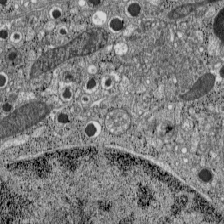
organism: C57BL Mouse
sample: Pancreatic islet